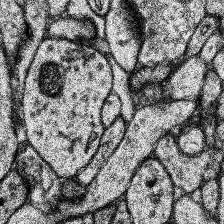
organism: Human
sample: Temporal Lobe